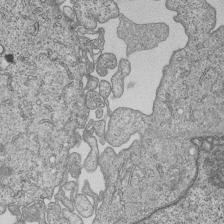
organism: Human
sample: MDA-MB-231 cells